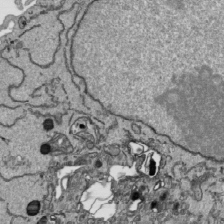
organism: Human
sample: Mitochondria in HCT116 cells